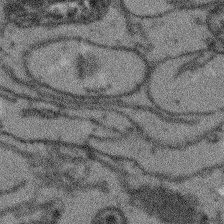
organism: Arabidopsis thaliana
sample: Root tip